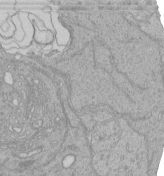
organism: Human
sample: Retinal organoid Rod and Cone cells